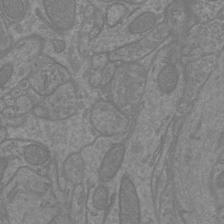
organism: Mouse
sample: Cortical neurons